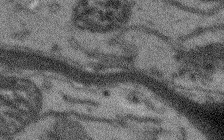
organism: Arabidopsis thaliana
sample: Root tip